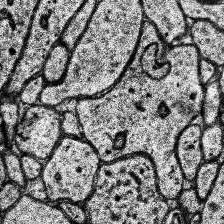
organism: Human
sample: Temporal Lobe